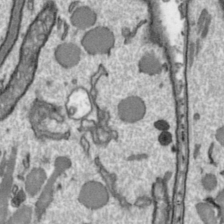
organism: Toxoplasma gondii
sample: Parasites in a vacuole inside a host cell